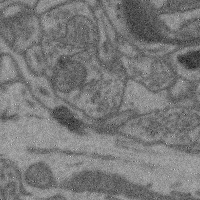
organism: Mouse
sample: Cerebral cortex